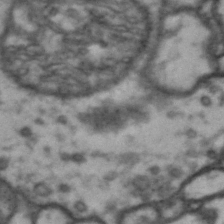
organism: Drosophila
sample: Brain